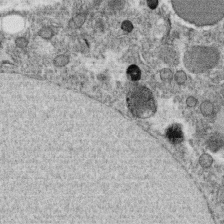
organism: C. elegans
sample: C. elegans oocyte; sperm cells